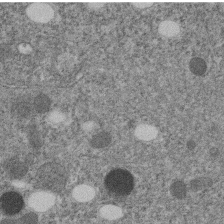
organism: C. elegans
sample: C. elegans embryo early stage